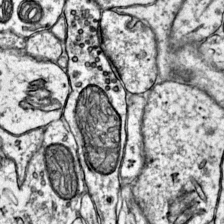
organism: Mouse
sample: Primary visual cortex